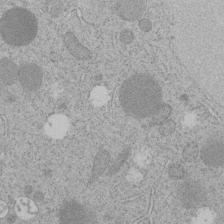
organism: C. elegans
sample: C. elegans embryo early stage